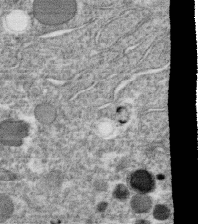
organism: C. elegans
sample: C. elegans oocyte; sperm cells